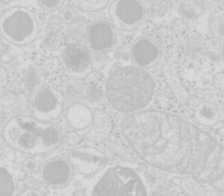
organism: Mouse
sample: Pancreas